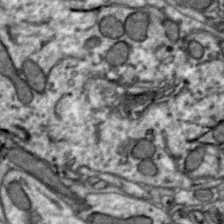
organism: Zebra finch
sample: Brain